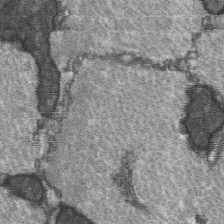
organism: C57BL Mouse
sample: Soleus